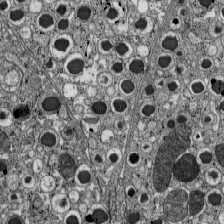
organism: C57BL Mouse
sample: Pancreatic islet